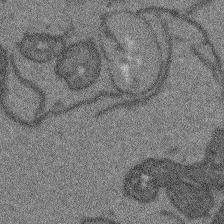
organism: Arabidopsis thaliana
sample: Root tip